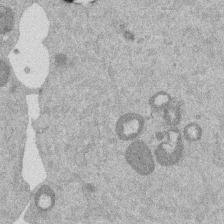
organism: Mouse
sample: Dividing mouse embryo 1 cell stage